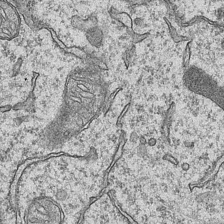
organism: Mouse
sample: CA1 Hippocampus